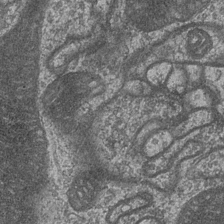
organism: Drosophila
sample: Optic medulla